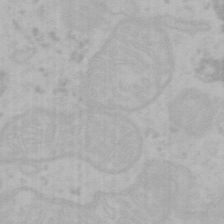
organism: Mouse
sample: Choroid plexus